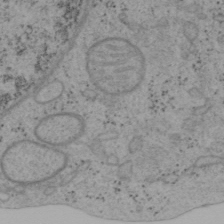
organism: Human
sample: HeLa cells